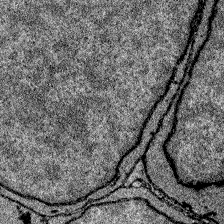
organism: Zebrafish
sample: Larval olfactory bulb